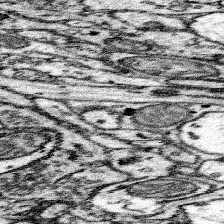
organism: Mouse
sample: Somatosensory cortex neuropil